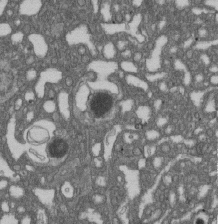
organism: Drosophila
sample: Nephrocyte